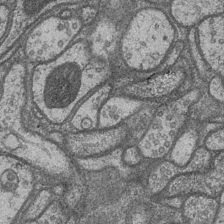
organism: Drosophila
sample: Optic medulla